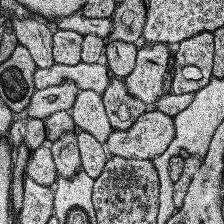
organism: Human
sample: Temporal Lobe